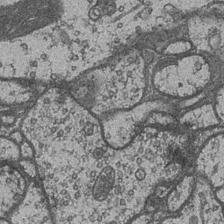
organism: Drosophila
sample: Optic medulla